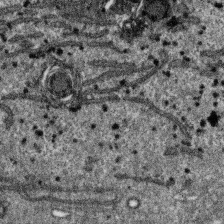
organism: Human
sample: Lung epithelial cells infected with SARS-CoV-2